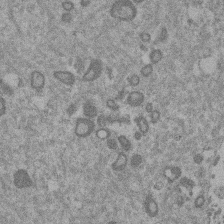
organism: Mouse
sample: Dividing mouse embryo 1 cell stage